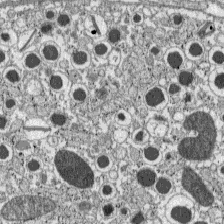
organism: C57BL Mouse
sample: Pancreatic islet